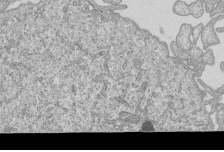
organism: Human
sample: MDA-MB-231 cells